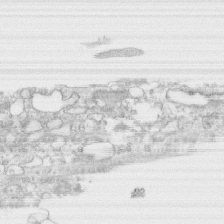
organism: Human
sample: CRL-1474